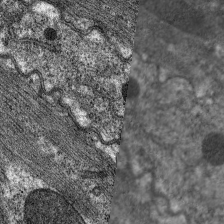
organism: C. elegans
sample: Pharynx